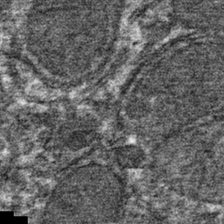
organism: Mouse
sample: Mouse hepatocytes